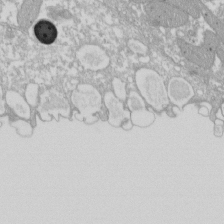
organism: Xenopus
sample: Cilia; centrioles in frog embryo cells